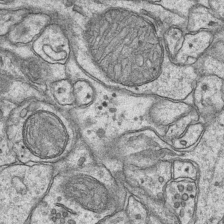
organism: Mouse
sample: CA1 Hippocampus